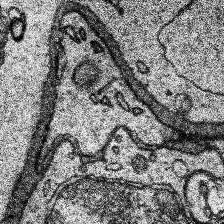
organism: Human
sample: Temporal Lobe